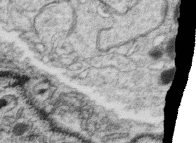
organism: C. elegans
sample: C. elegans oocyte; sperm cells